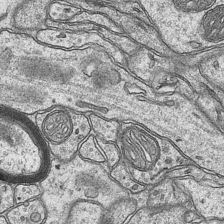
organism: Mouse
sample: CA1 Hippocampus